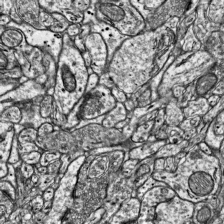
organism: Mouse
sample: Visual Cortex